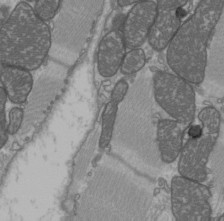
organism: C57BL Mouse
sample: Heart